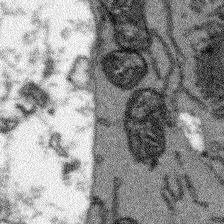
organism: Arabidopsis thaliana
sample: Root tip